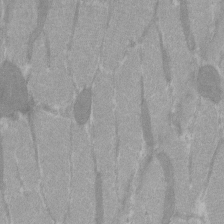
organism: C57BL Mouse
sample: Tibialis anterior muscle cell